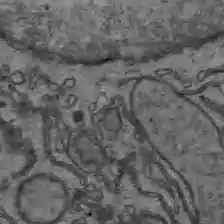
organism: C57BL Mouse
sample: Liver